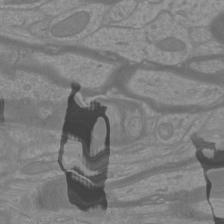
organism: Mouse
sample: Cortical neurons